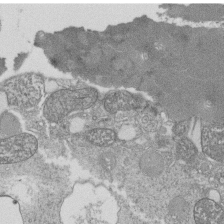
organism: Tetrahymena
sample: Cilia in tetrahymena